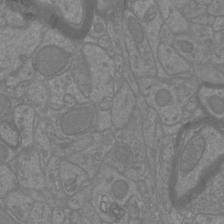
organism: Mouse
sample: Cortical neurons